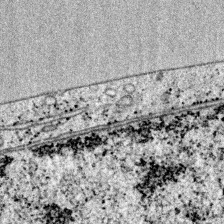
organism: Human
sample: HeLa cells